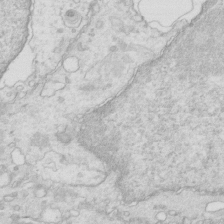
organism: Mouse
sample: Multiciliated cells